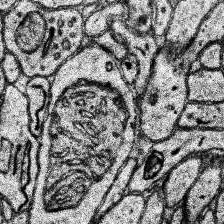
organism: Human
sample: Temporal Lobe